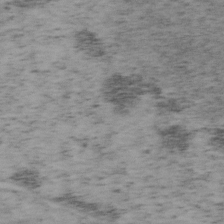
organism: Mouse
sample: OT-I killer T cells with ID8 ovarian cancer cells